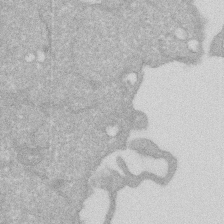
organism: Human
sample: HIV infected U937 cells